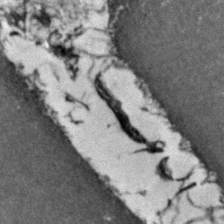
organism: Zebrafish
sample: Zebrafish embryo